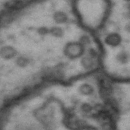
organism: Drosophila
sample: Brain